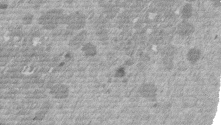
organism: Mouse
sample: Dividing mouse embryo 1 cell stage